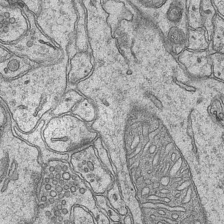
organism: Mouse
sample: CA1 Hippocampus